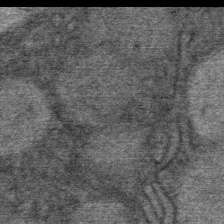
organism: Mouse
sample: Mouse Salivary gland